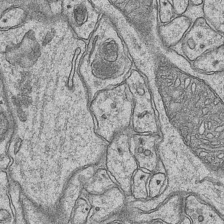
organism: Mouse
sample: CA1 Hippocampus